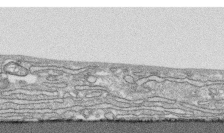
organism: Human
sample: CRL-1474